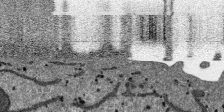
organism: Human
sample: Lung epithelial cells, uninfected (mock) control